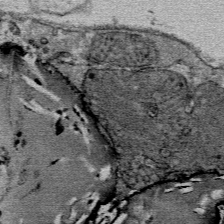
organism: Mouse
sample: Mouse Salivary gland